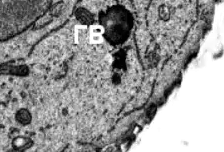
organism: Human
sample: HeLa cells